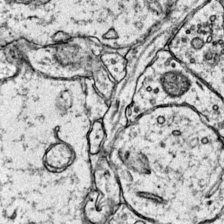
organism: Mouse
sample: Primary visual cortex